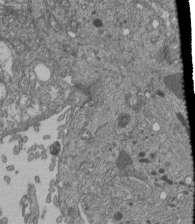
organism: Human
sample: Retinal organoid Rod and Cone cells